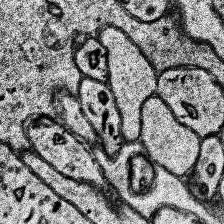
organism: Human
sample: Temporal Lobe